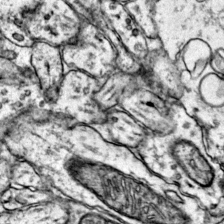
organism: Mouse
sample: Primary visual cortex